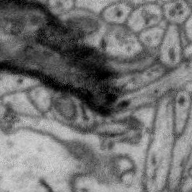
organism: Zebra finch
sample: Brain